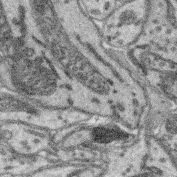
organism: Mouse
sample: Retina